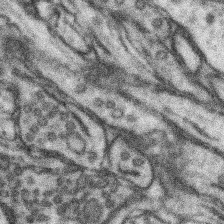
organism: Mouse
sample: Somatosensory cortex neuropil